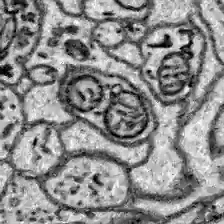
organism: Zebrafish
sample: Brain